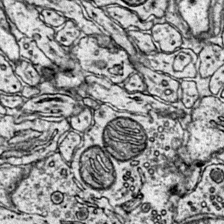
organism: Mouse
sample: Primary visual cortex